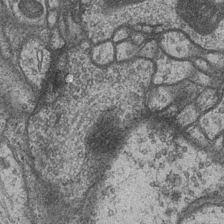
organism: Drosophila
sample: Optic medulla